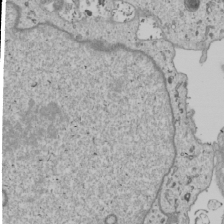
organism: Human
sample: Mitochondria in U2OS cells